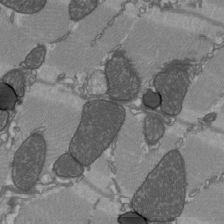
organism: C57BL Mouse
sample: Heart